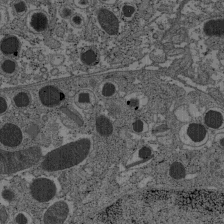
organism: C57BL Mouse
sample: Pancreatic islet